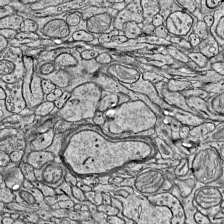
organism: Mouse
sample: Visual Cortex